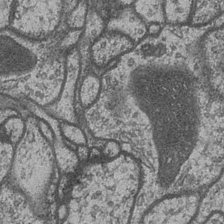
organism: Drosophila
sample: Optic medulla